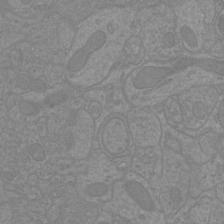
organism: Mouse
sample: Cortical neurons